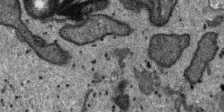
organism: Human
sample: Lung epithelial cells, uninfected (mock) control